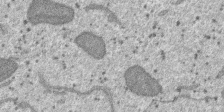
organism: Human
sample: Lung epithelial cells infected with SARS-CoV-2